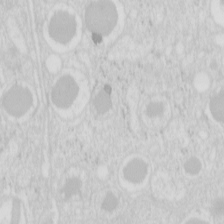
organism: Mouse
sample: Pancreas